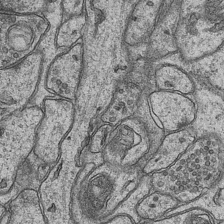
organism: Mouse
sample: CA1 Hippocampus